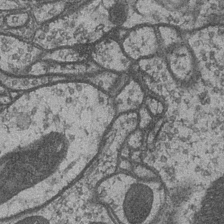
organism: Drosophila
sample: Optic medulla